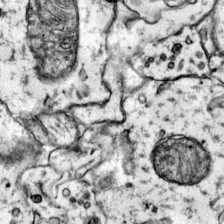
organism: Mouse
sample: Primary visual cortex